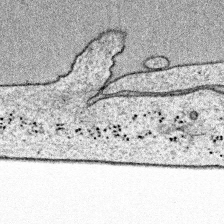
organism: Human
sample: HeLa cells